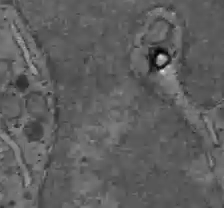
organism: C57BL Mouse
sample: Liver